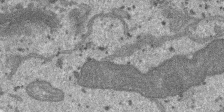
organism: Human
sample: Lung epithelial cells infected with SARS-CoV-2